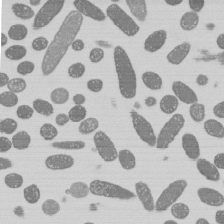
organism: E. coli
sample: Bacterial nucleoid